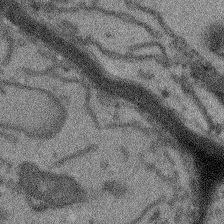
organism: Arabidopsis thaliana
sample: Root tip